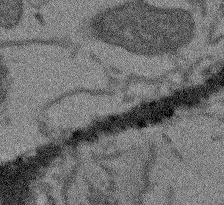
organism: Arabidopsis thaliana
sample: Root tip